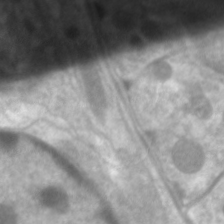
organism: C. elegans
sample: Pharynx